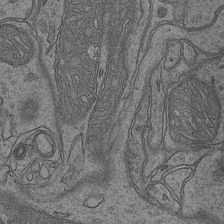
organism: Mouse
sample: CA1 Hippocampus